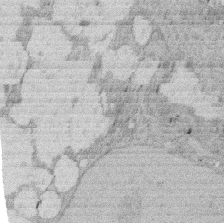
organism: Rat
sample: Salivary granule